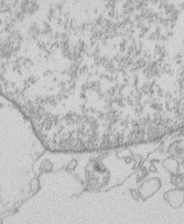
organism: Human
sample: Macrophage cells